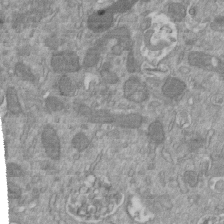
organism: Mouse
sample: ED-1 cell nuclei; centrioles